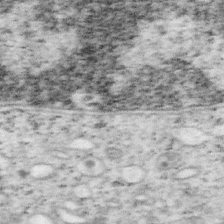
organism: Mouse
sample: OT-I killer T cells with ID8 ovarian cancer cells